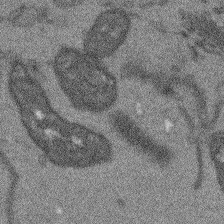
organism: Arabidopsis thaliana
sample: Root tip